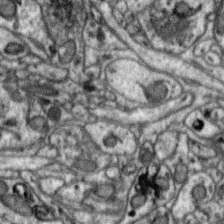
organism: Zebra finch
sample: Brain